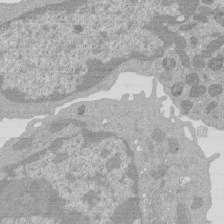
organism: Mouse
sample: Activated Pmel transgenic CD8+ T Cells